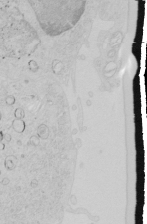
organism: Human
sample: Mitochondria in HCT116 cells